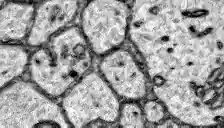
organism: Zebrafish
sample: Brain